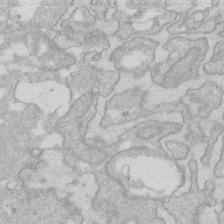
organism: Human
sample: Fibroblast cells